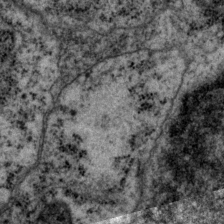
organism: P. pacificus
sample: Pharynx